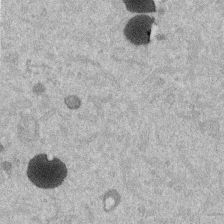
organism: Mouse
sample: Dividing mouse embryo 1 cell stage